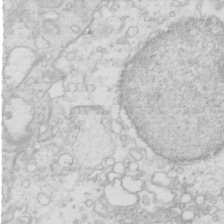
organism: Mouse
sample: Multiciliated cells